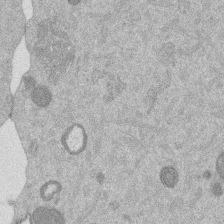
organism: Mouse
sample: Dividing mouse embryo 1 cell stage